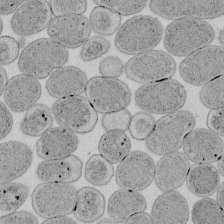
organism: E. coli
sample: Bacterial nucleoid